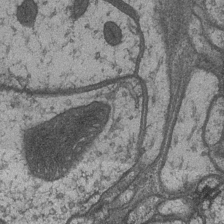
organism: Drosophila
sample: Optic medulla